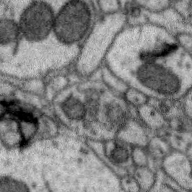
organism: Zebra finch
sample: Brain